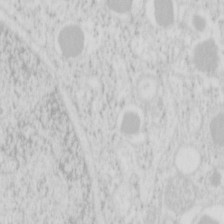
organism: Mouse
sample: Pancreas